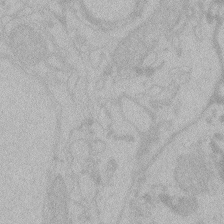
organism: Zebrafish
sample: Macrophage infected with Toxoplasma gondii